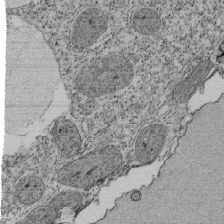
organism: Tetrahymena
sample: Cilia in tetrahymena